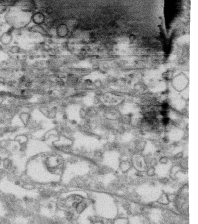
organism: Human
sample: CRL-1474